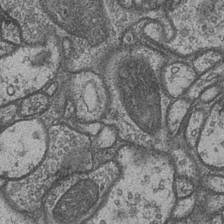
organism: Drosophila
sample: Optic medulla